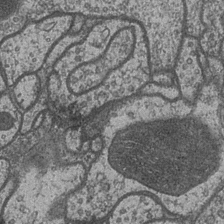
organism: Drosophila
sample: Optic medulla